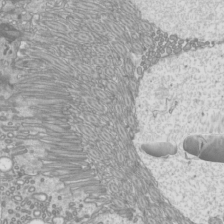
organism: Mouse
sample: Cilia; mouse epididymis